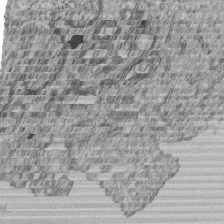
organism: Human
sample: MDA-MB-231 cells